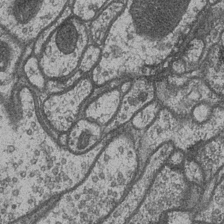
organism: Drosophila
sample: Optic medulla